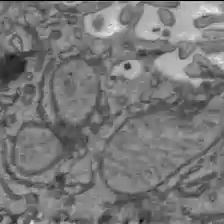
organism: C57BL Mouse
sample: Liver